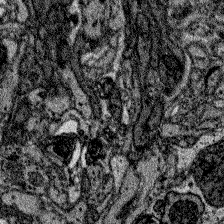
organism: Zebrafish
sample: Larval olfactory bulb